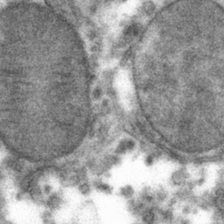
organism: Mouse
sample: Mouse hepatocytes